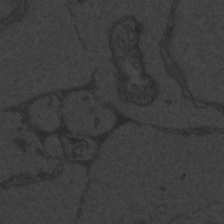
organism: Zebrafish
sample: Macrophage infected with Toxoplasma gondii